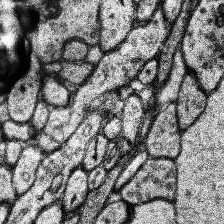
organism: Human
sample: Temporal Lobe